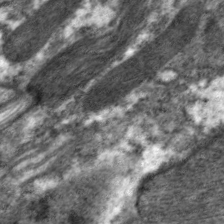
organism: C. elegans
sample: Pharynx